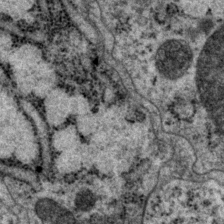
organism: P. pacificus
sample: Pharynx